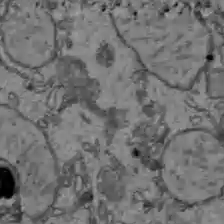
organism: C57BL Mouse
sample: Liver